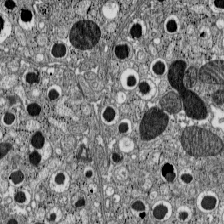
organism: C57BL Mouse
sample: Pancreatic islet